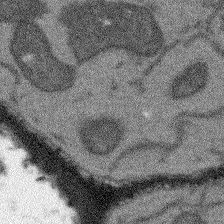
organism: Arabidopsis thaliana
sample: Root tip